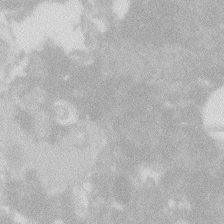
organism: Zebrafish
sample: Macrophage